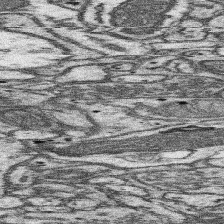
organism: Mouse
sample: Somatosensory cortex neuropil